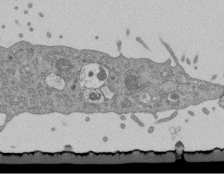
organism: Mouse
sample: ED-1 cell nuclei; centrioles